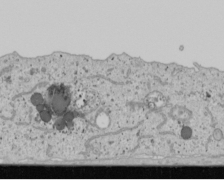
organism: Human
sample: Mitochondria in U2OS cells